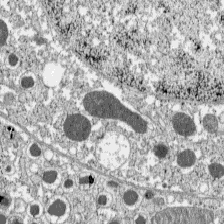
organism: C57BL Mouse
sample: Pancreatic islet